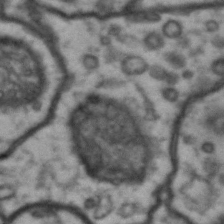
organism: Drosophila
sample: Brain